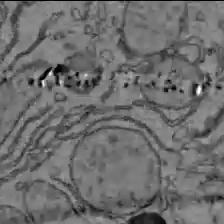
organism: C57BL Mouse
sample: Liver